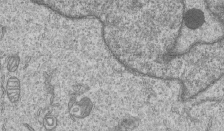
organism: Human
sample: MDA-MB-231 cells